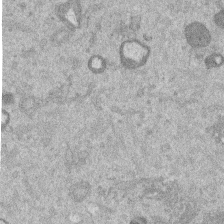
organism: Mouse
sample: Dividing mouse embryo 1 cell stage